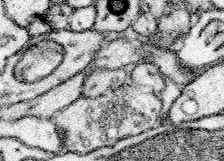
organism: Mouse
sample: Somatosensory cortex neuropil